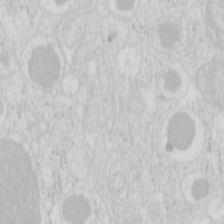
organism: Mouse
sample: Pancreas